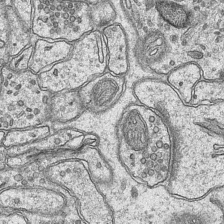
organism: Mouse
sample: CA1 Hippocampus